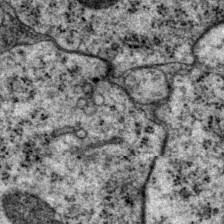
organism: P. pacificus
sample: Pharynx